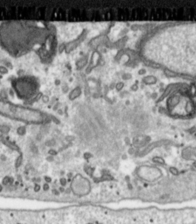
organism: Toxoplasma gondii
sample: Parasites in a vacuole inside a host cell